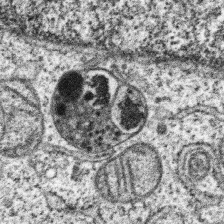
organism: Human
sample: HeLa cells